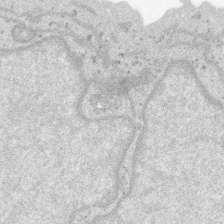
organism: Human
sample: Lung epithelial cells infected with SARS-CoV-2